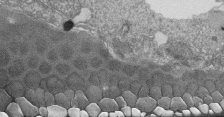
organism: Tetrahymena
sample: Cilia in tetrahymena